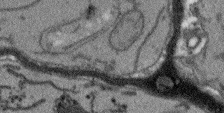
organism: Arabidopsis thaliana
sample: Root tip